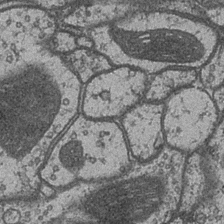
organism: Drosophila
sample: Optic medulla